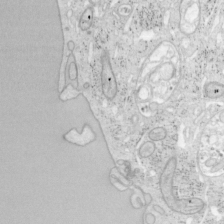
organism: Mouse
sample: OT-I killer T cells with ID8 ovarian cancer cells